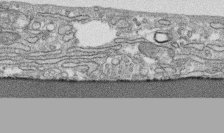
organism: Human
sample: CRL-1474